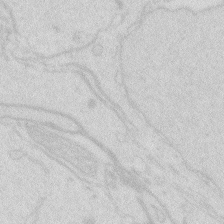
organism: Zebrafish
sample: Macrophage